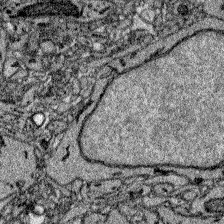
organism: Zebrafish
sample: Larval olfactory bulb